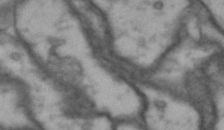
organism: Drosophila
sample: Brain